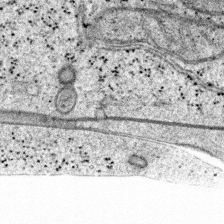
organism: Human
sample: HeLa cells